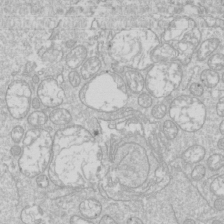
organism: Drosophila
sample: Cell division; meiosis; drosophila spermatocytes